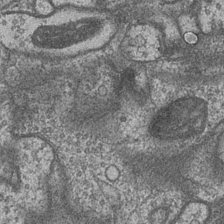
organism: Drosophila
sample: Optic medulla